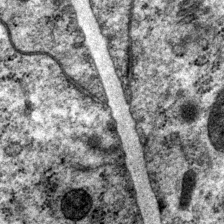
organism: P. pacificus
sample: Pharynx